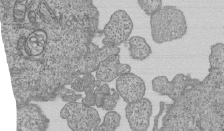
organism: Human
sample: MDA-MB-231 cells